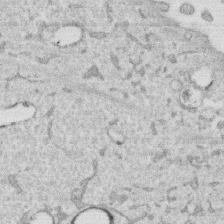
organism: Human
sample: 1205lu cells